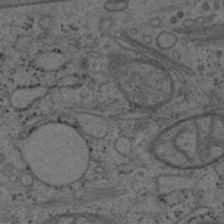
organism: Human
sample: HeLa cells